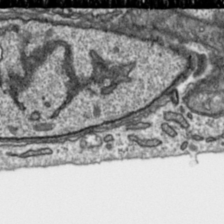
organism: Toxoplasma gondii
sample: Parasites in a vacuole inside a host cell